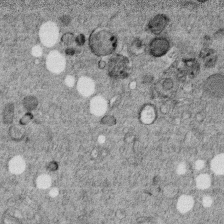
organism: C. elegans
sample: C. elegans embryo early stage